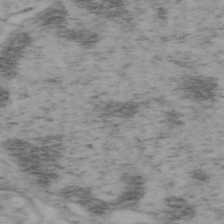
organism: Mouse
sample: OT-I killer T cells with ID8 ovarian cancer cells